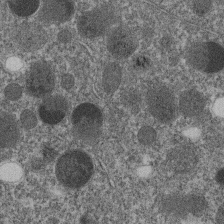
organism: C. elegans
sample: C. elegans embryo early stage